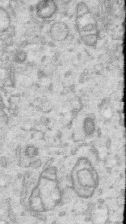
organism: Human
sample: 1205lu cells